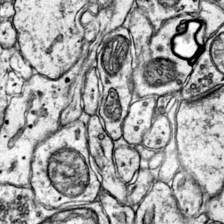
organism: Mouse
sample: Primary visual cortex